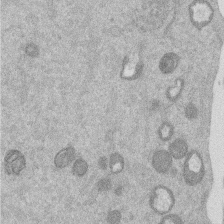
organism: Mouse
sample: Dividing mouse embryo 1 cell stage